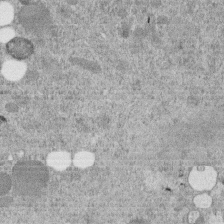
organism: C. elegans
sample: C. elegans embryo early stage